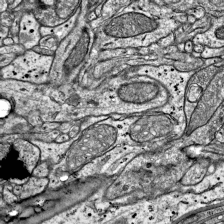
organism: Mouse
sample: Visual Cortex